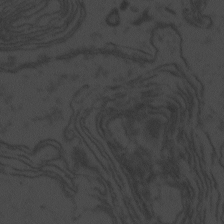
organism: Zebrafish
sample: Macrophage infected with Toxoplasma gondii